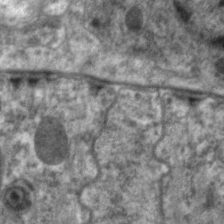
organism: C. elegans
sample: Pharynx